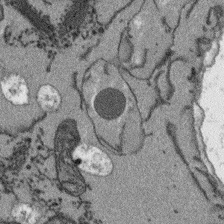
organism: Arabidopsis thaliana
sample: Root tip